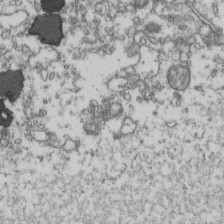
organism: Human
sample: Activated Jurkat CD4+ T cells